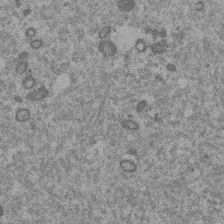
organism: Mouse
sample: Dividing mouse embryo 1 cell stage